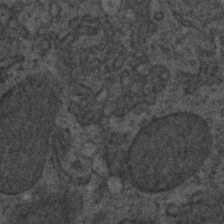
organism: C. elegans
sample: C. elegans embryo